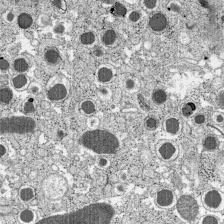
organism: C57BL Mouse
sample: Pancreatic islet